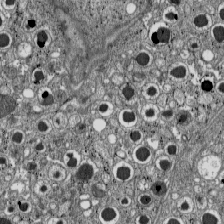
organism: C57BL Mouse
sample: Pancreatic islet